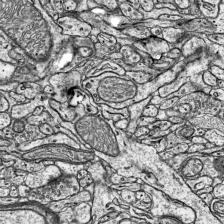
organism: Mouse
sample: Visual Cortex